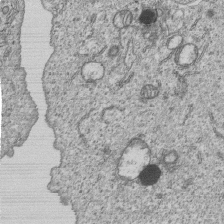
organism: Human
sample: MDA-MB-231 cells